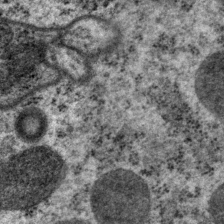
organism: P. pacificus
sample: Pharynx